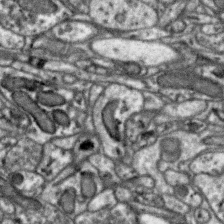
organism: Zebra finch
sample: Brain